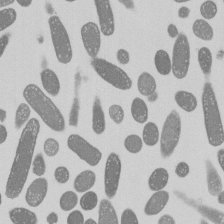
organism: E. coli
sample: Bacterial nucleoid